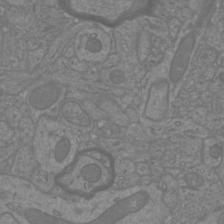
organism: Mouse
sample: Cortical neurons